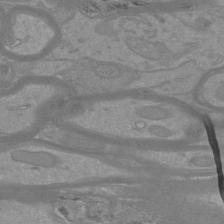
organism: Mouse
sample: Cortical neurons